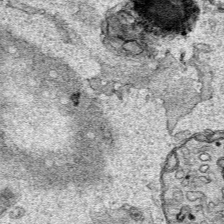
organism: Human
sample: Mitochondria in HCT116 cells